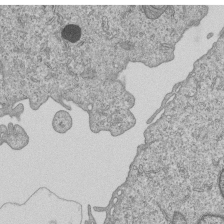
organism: Human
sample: MDA-MB-231 cells